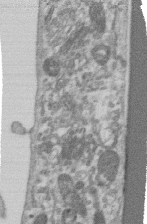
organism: Human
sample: Centriole in RPE cells